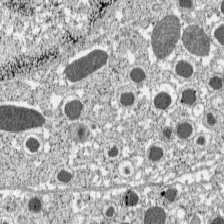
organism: C57BL Mouse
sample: Pancreatic islet